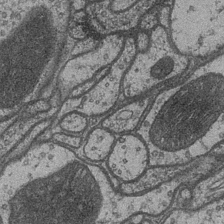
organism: Drosophila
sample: Optic medulla